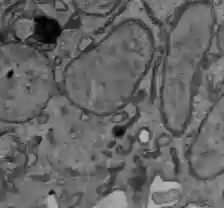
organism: C57BL Mouse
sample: Liver